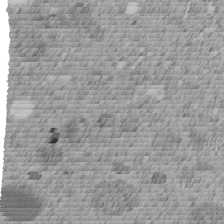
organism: C. elegans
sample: C. elegans embryo early stage